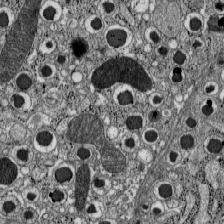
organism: C57BL Mouse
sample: Pancreatic islet